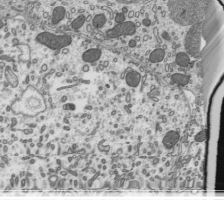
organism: Mouse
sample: Mouse epididymis efferent ductule cilia